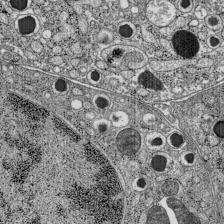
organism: C57BL Mouse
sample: Pancreatic islet